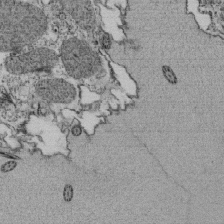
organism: Tetrahymena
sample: Cilia in tetrahymena